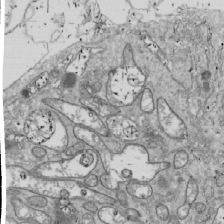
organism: Drosophila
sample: Cell division; meiosis; drosophila spermatocytes